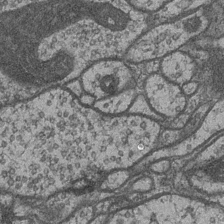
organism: Drosophila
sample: Optic medulla